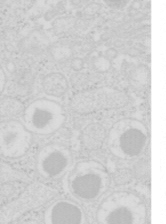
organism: Mouse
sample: Pancreas